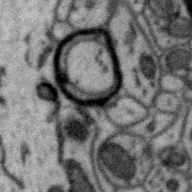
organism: Zebra finch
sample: Brain